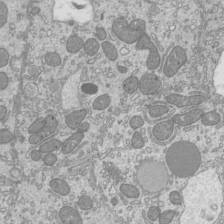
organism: Mouse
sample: Cilia; mouse epididymis